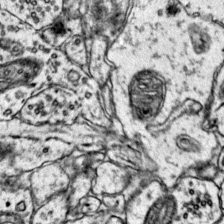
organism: Mouse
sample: Primary visual cortex